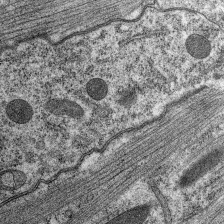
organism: C. elegans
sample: Pharynx